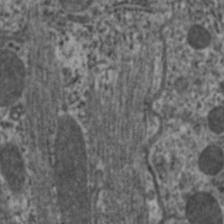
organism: C. elegans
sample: Pharynx